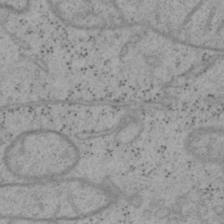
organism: Human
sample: HeLa cells